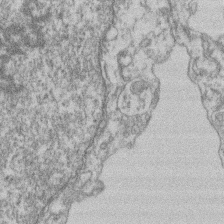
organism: Mouse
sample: T cell stromal cell synapse